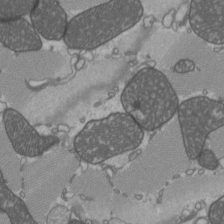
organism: C57BL Mouse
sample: Heart